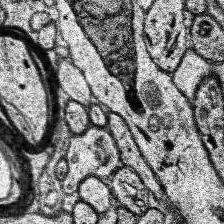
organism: Human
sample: Temporal Lobe